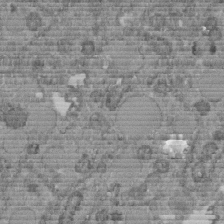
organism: C. elegans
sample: C. elegans embryo early stage